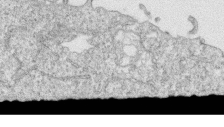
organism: Human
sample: HeLa cell HIV synapse